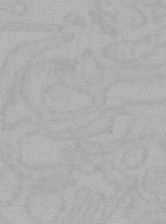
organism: Mouse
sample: Choroid plexus